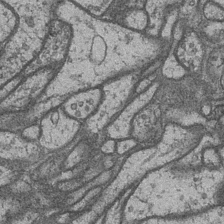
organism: Drosophila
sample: Optic medulla